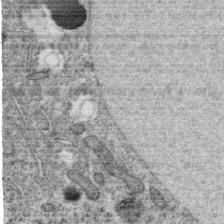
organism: C. elegans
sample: C. elegans oocyte; sperm cells